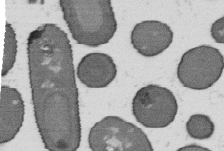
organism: B. subtilis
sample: Bacterial spore